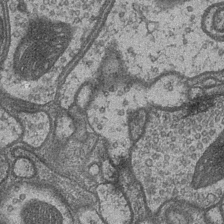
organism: Drosophila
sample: Optic medulla